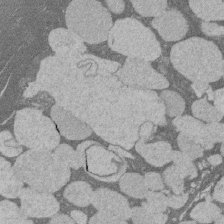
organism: Rat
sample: Salivary granule